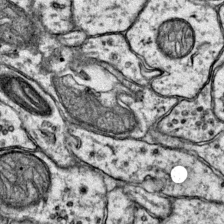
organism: Mouse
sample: Primary visual cortex